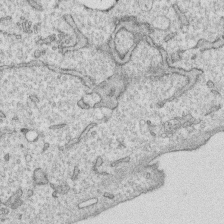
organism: Human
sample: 1205lu cells